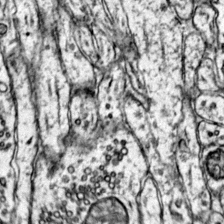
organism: Mouse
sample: Primary visual cortex